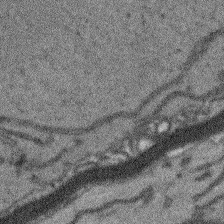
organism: Arabidopsis thaliana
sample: Root tip